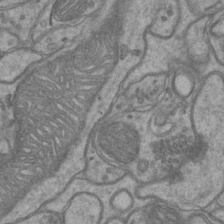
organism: Mouse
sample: CA1 Hippocampus